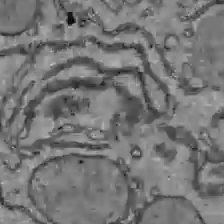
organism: C57BL Mouse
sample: Liver